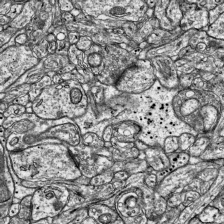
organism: Mouse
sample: Visual Cortex